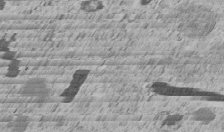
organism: C. elegans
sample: C. elegans embryo early stage